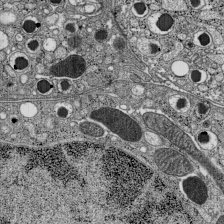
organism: C57BL Mouse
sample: Pancreatic islet